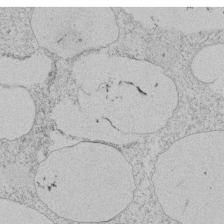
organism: Tetrahymena